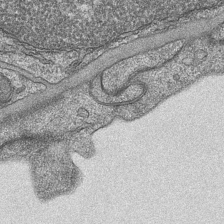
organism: Mouse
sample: CA1 Hippocampus